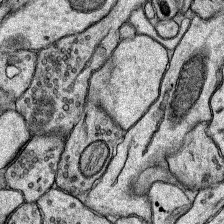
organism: Rat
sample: Hippocampus